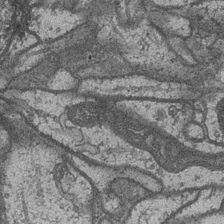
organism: Drosophila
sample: Optic medulla